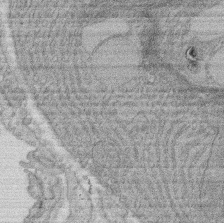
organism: Rat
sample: Salivary granule